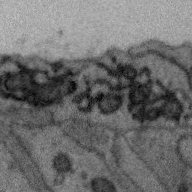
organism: Zebra finch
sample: Brain